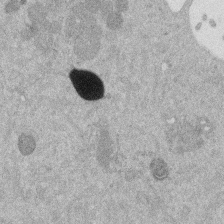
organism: Mouse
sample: Dividing mouse embryo 1 cell stage